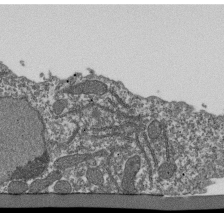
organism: Dictyostelium discoideum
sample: Dictyostelium multivesicular bodies